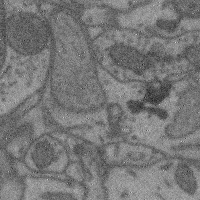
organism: Mouse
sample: Cerebral cortex